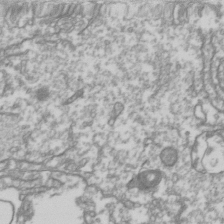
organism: Drosophila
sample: Cell division; meiosis; drosophila spermatocytes